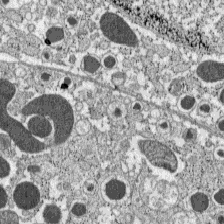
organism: C57BL Mouse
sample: Pancreatic islet